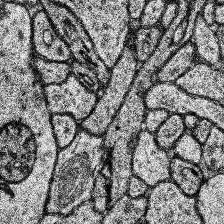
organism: Human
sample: Temporal Lobe